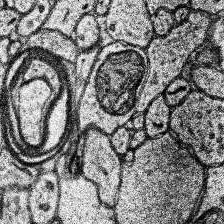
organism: Human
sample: Temporal Lobe